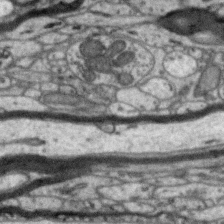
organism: Zebra finch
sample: Brain